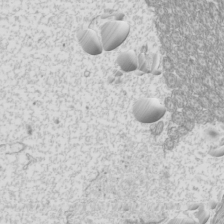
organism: Mouse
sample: Cilia; mouse epididymis